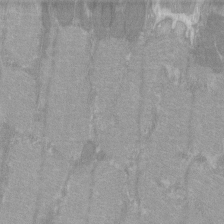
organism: C57BL Mouse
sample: Tibialis anterior muscle cell